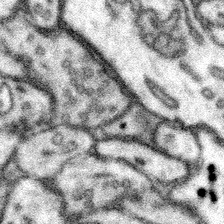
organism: Mouse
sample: Somatosensory cortex neuropil